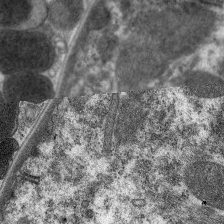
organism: C. elegans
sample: Pharynx